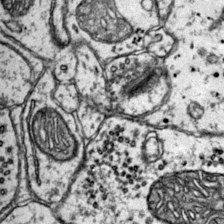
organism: Mouse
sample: Primary visual cortex